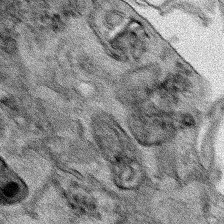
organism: Human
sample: Mitochondria in HCT116 cells